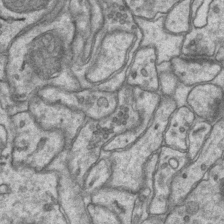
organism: Mouse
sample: CA1 Hippocampus